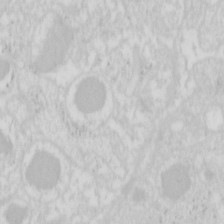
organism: Mouse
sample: Pancreas